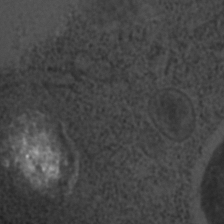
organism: C. elegans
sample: C. elegans embryo